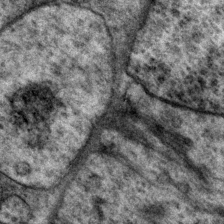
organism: P. pacificus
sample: Pharynx